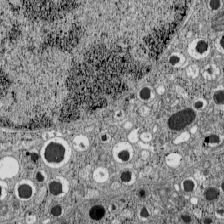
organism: C57BL Mouse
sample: Pancreatic islet